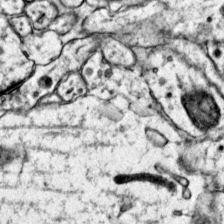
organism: Mouse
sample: Primary visual cortex